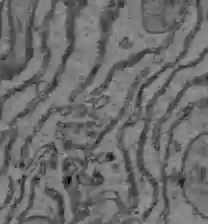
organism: C57BL Mouse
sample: Liver